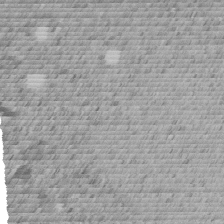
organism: C. elegans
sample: C. elegans embryo early stage